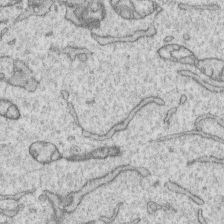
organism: Human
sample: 1205lu cells